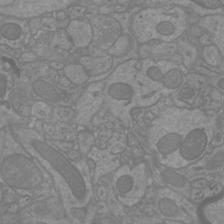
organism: Mouse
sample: Cortical neurons